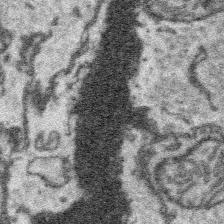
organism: Platynereis dumerilii